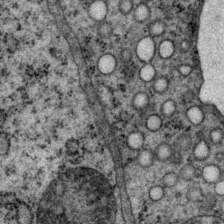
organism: P. pacificus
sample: Pharynx